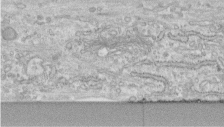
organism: Human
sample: Centriole in fibroblast cells